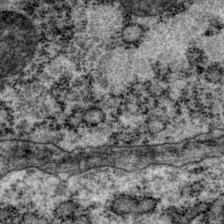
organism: P. pacificus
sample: Pharynx